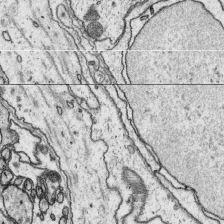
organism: Platynereis dumerilii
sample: Parapodia